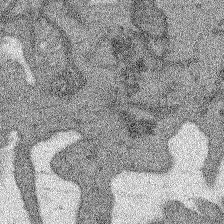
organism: Human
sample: HeLa cells